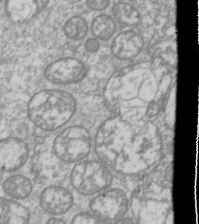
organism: Drosophila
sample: Cell division; meiosis; drosophila spermatocytes